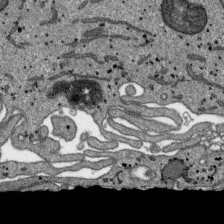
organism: Human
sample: Lung epithelial cells, uninfected (mock) control